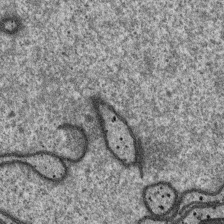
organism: Human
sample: Lung epithelial cells, uninfected (mock) control